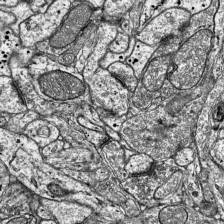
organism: Mouse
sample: Visual Cortex